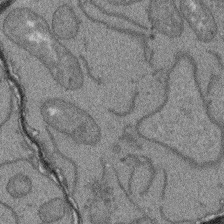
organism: Arabidopsis thaliana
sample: Root tip